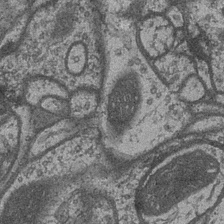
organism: Drosophila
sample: Optic medulla